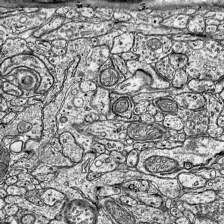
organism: Mouse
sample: Visual Cortex